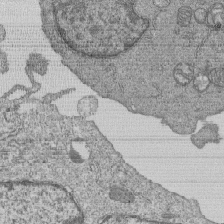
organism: Human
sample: MDA-MB-231 cells